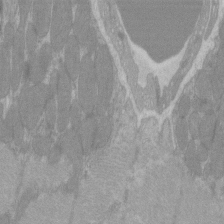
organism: C57BL Mouse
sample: Tibialis anterior muscle cell